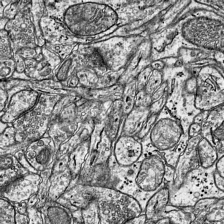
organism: Mouse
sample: Visual Cortex